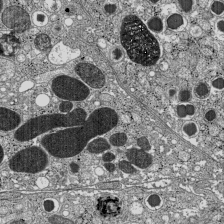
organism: C57BL Mouse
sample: Pancreatic islet